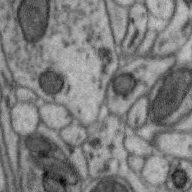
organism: Zebra finch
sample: Brain